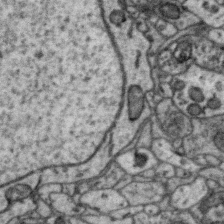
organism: Zebra finch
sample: Brain